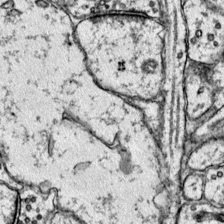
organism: Mouse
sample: Primary visual cortex